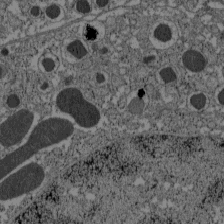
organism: C57BL Mouse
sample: Pancreatic islet